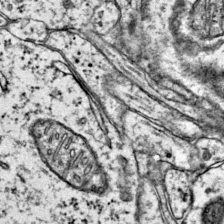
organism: Mouse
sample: Primary visual cortex